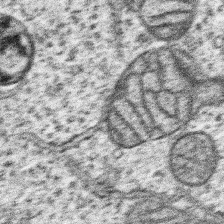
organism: Human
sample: HeLa cells